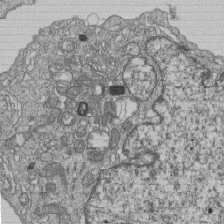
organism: Human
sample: MDA-MB-231 cells